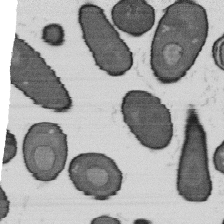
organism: B. subtilis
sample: Bacterial spore